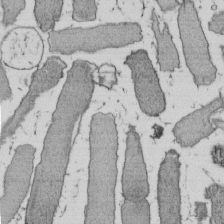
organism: E. coli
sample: Bacterial nucleoid